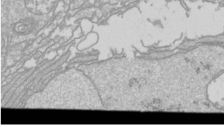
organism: Drosophila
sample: Cell division; meiosis; drosophila spermatocytes